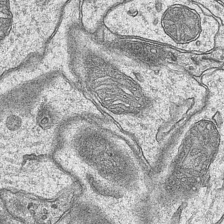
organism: Mouse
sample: CA1 Hippocampus